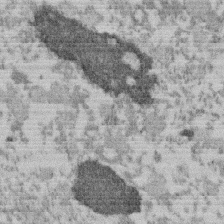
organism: Mouse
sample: Dividing mouse embryo 1 cell stage